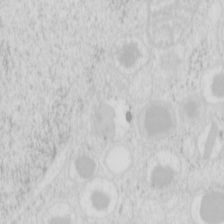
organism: Mouse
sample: Pancreas